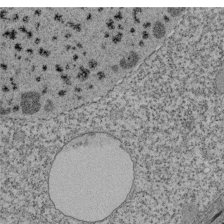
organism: Tetrahymena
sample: Cilia in tetrahymena